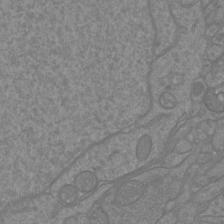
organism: Mouse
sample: Cortical neurons